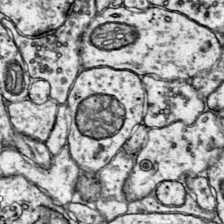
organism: Mouse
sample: Primary visual cortex